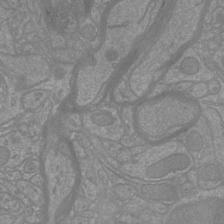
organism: Mouse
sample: Cortical neurons